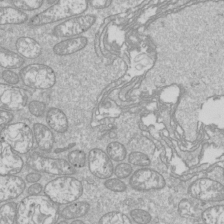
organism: Drosophila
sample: Cell division; meiosis; drosophila spermatocytes